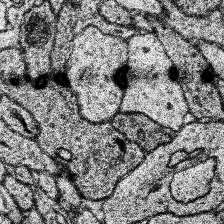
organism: Human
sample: Temporal Lobe